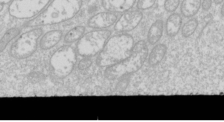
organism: Drosophila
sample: Cell division; meiosis; drosophila spermatocytes